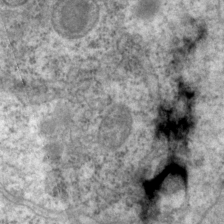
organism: P. pacificus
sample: Pharynx